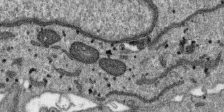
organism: Human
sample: Lung epithelial cells, uninfected (mock) control